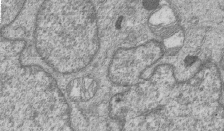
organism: Human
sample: MDA-MB-231 cells